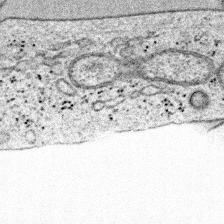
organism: Human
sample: HeLa cells